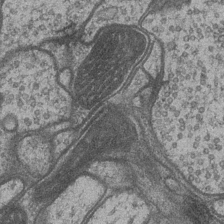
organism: Drosophila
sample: Optic medulla